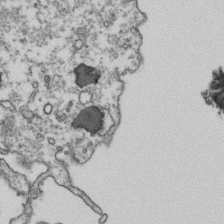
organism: Human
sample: Activated Jurkat CD4+ T cells